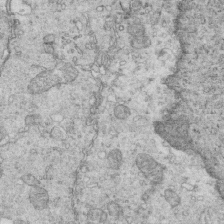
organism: Mouse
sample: Multiciliated cells